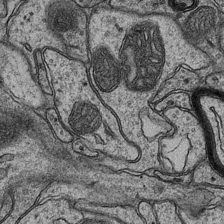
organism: Mouse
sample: CA1 Hippocampus